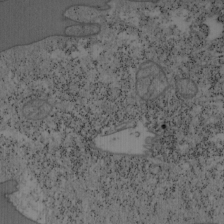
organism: Mouse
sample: OT-I killer T cells with ID8 ovarian cancer cells